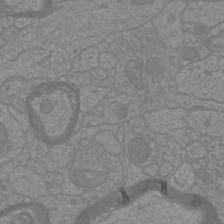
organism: Mouse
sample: Cortical neurons